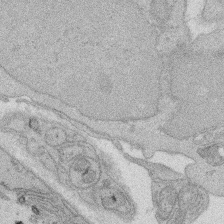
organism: Rat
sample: Salivary granule